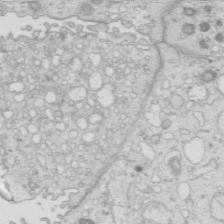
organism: Mouse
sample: Multiciliated cells